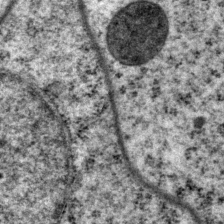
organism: P. pacificus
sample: Pharynx